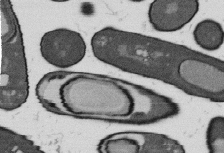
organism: B. subtilis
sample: Bacterial spore